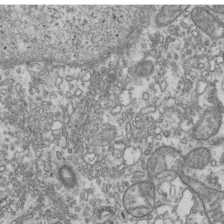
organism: Human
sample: Activated Jurkat CD4+ T cells